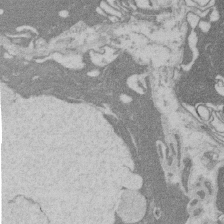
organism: Rat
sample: Salivary granule